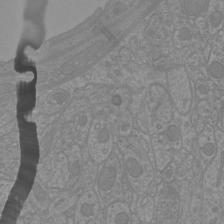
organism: Mouse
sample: Cortical neurons